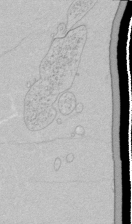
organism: Human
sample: Mitochondria in HCT116 cells